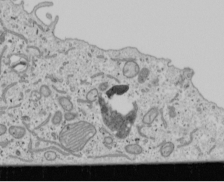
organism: Human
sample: Mitochondria in U2OS cells